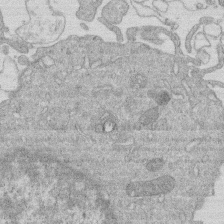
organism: Human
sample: Macrophage cells